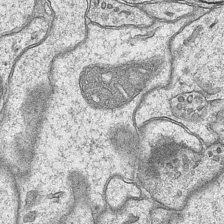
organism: Mouse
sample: CA1 Hippocampus